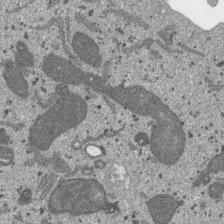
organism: Human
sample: Lung epithelial cells infected with SARS-CoV-2